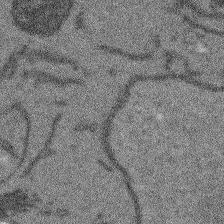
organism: Arabidopsis thaliana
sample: Root tip